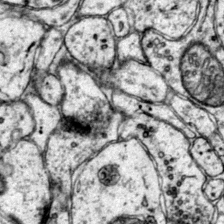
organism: Mouse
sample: Primary visual cortex